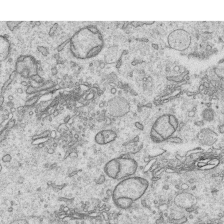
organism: Human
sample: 1205lu cells